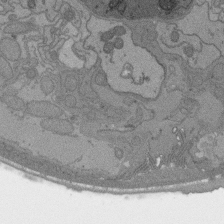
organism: C. elegans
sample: AFD neurons C. elegans